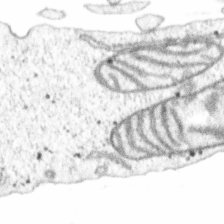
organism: Human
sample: HeLa cells